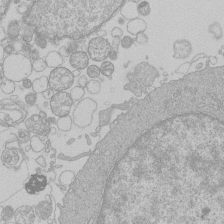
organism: Human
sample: Macrophage cells